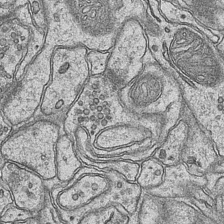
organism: Mouse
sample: CA1 Hippocampus